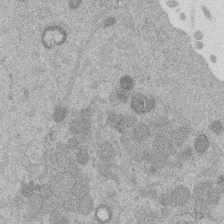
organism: Mouse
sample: Dividing mouse embryo 1 cell stage